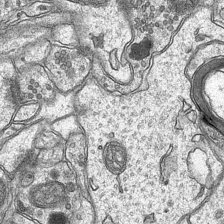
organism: Mouse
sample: CA1 Hippocampus